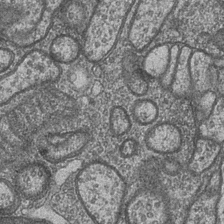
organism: Drosophila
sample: Optic medulla